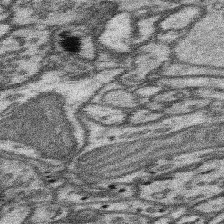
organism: Mouse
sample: Somatosensory cortex neuropil